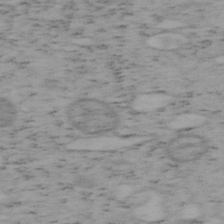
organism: Mouse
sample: OT-I killer T cells with ID8 ovarian cancer cells